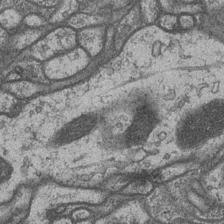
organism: Drosophila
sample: Optic medulla